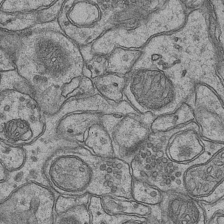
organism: Mouse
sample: CA1 Hippocampus